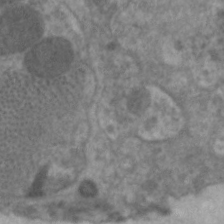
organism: C. elegans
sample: Pharynx